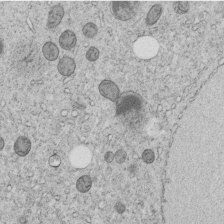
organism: C. elegans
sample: C. elegans embryo early stage